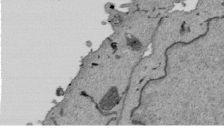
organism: Mouse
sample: ED-1 cell nuclei; centrioles